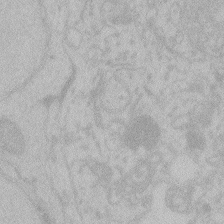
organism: Zebrafish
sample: Macrophage infected with Toxoplasma gondii